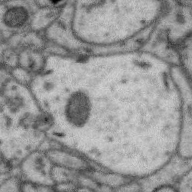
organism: Zebra finch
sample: Brain